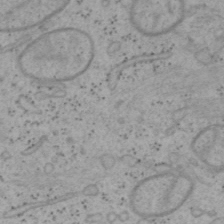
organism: Human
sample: HeLa cells